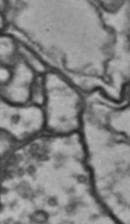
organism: Drosophila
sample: Brain